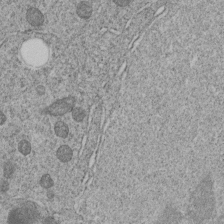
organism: C. elegans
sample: C. elegans embryo early stage